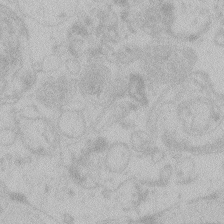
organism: Zebrafish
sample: Macrophage infected with Toxoplasma gondii